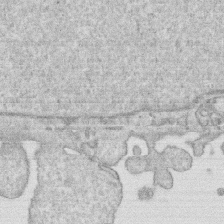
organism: Human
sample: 1205lu cells